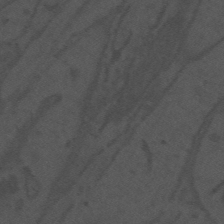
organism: Mouse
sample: Suprachiasmatic nucleus